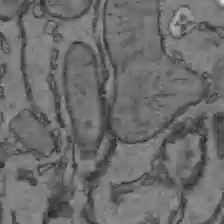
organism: C57BL Mouse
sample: Liver